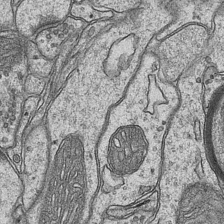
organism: Mouse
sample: CA1 Hippocampus